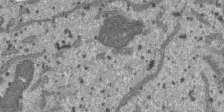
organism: Human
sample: Lung epithelial cells infected with SARS-CoV-2